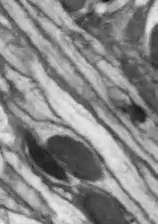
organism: Drosophila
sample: Optic lobe